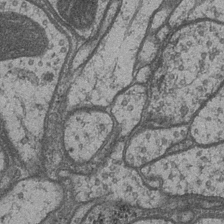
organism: Drosophila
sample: Optic medulla